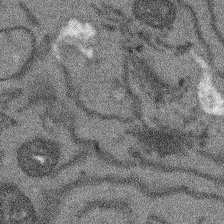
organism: Arabidopsis thaliana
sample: Root tip